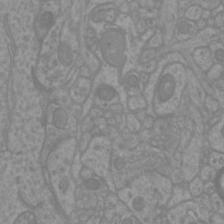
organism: Mouse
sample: Cortical neurons